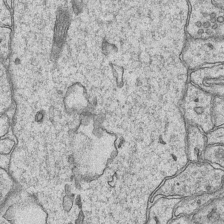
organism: Mouse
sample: CA1 Hippocampus